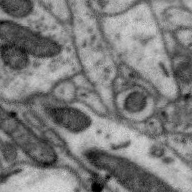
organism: Zebra finch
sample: Brain